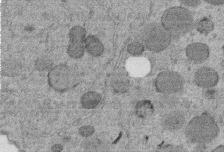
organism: C. elegans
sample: C. elegans embryo early stage